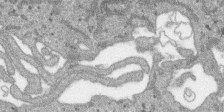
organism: Human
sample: Lung epithelial cells infected with SARS-CoV-2